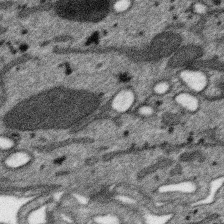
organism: Human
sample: Lung epithelial cells infected with SARS-CoV-2